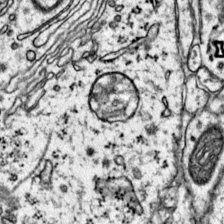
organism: Mouse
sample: Primary visual cortex